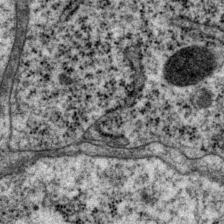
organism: P. pacificus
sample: Pharynx